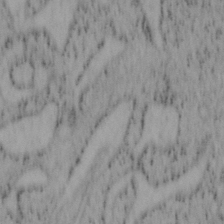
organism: Mouse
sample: OT-I killer T cells with ID8 ovarian cancer cells